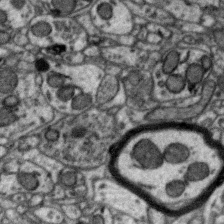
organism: Zebra finch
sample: Brain